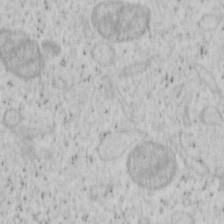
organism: Human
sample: HeLa cells